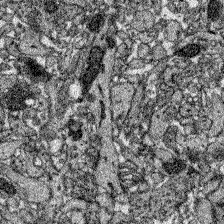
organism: Zebrafish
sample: Larval olfactory bulb